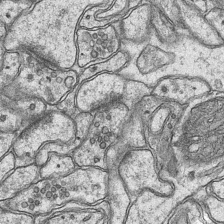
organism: Mouse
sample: CA1 Hippocampus